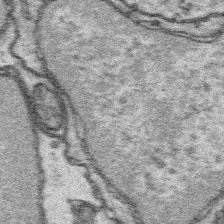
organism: Platynereis dumerilii